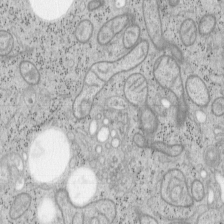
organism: Mouse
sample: OT-I killer T cells with ID8 ovarian cancer cells